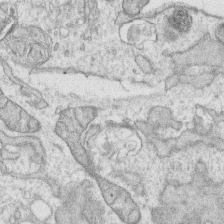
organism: Human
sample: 1205lu cells